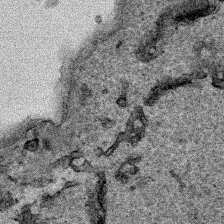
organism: Human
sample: Mitochondria in HCT116 cells